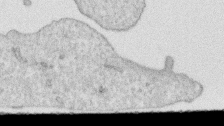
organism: Human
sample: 1205lu cells